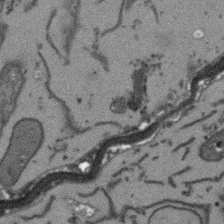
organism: Arabidopsis thaliana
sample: Root tip